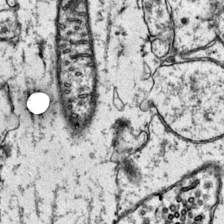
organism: Mouse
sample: Primary visual cortex